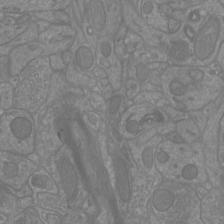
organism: Mouse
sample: Cortical neurons